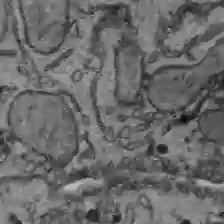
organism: C57BL Mouse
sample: Liver